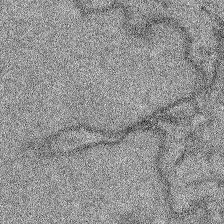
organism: Human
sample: HeLa cells